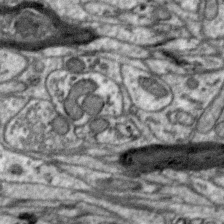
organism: Zebra finch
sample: Brain